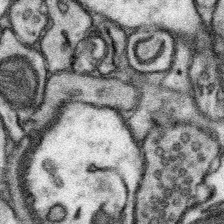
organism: Mouse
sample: Somatosensory cortex neuropil